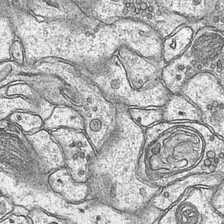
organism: Mouse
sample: CA1 Hippocampus